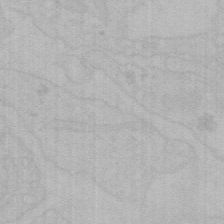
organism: Mouse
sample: Choroid plexus